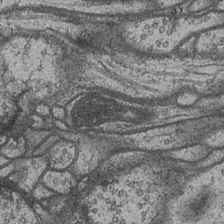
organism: Drosophila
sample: Optic medulla